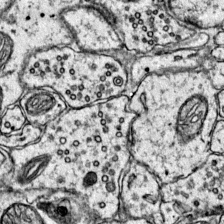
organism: Mouse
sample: Primary visual cortex